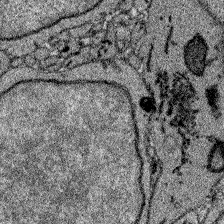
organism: Zebrafish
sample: Larval olfactory bulb